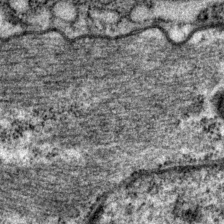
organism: P. pacificus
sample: Pharynx